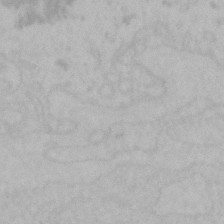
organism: Mouse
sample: Choroid plexus